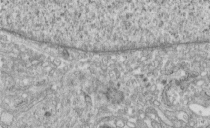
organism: Human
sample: Centriole in fibroblast cells